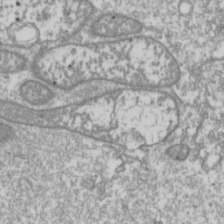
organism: Drosophila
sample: Cell division; meiosis; drosophila spermatocytes